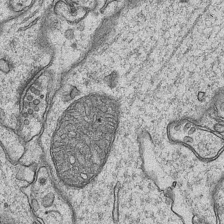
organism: Mouse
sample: CA1 Hippocampus